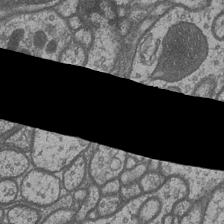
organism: Drosophila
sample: Optic medulla